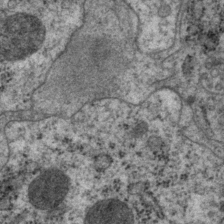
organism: P. pacificus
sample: Pharynx